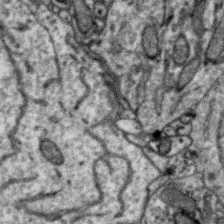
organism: Zebra finch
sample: Brain